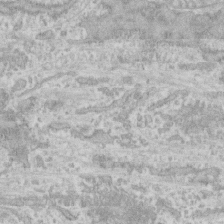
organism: Human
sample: CRL-1474